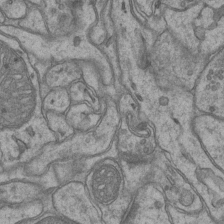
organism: Mouse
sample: CA1 Hippocampus